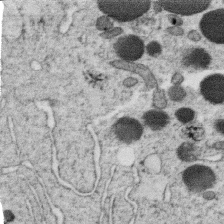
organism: C. elegans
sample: C. elegans oocyte; sperm cells